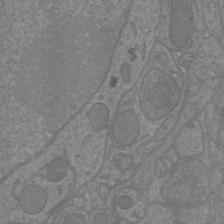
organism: Mouse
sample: Cortical neurons